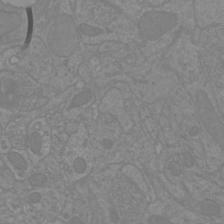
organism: Mouse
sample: Cortical neurons